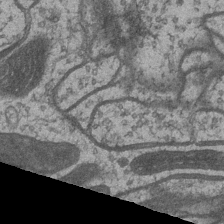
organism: Drosophila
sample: Optic medulla